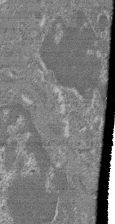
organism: Mouse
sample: Glomerulus